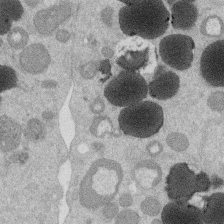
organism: Mouse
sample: Dividing mouse embryo 1 cell stage